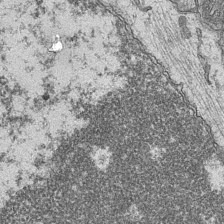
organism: Mouse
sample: CA1 Hippocampus